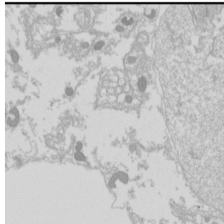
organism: Drosophila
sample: Cell division; meiosis; drosophila spermatocytes